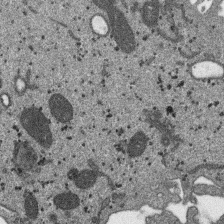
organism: Human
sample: Lung epithelial cells infected with SARS-CoV-2